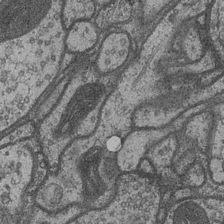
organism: Drosophila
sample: Optic medulla